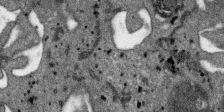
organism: Human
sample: Lung epithelial cells, uninfected (mock) control